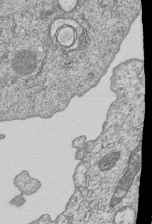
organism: Human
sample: MDA-MB-231 cells